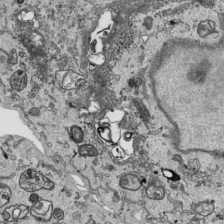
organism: Human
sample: Mitochondria in HCT116 cells